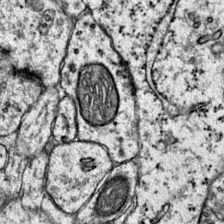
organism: Mouse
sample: Primary visual cortex